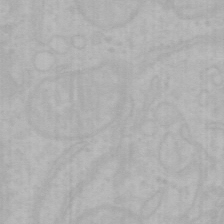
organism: Mouse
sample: Choroid plexus